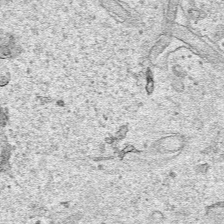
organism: Human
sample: Mitochondria in HCT116 cells